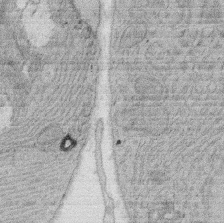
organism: Rat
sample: Salivary granule